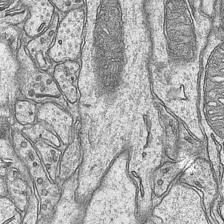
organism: Mouse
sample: CA1 Hippocampus